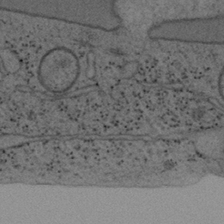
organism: Human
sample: HeLa cells